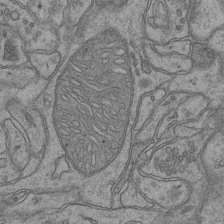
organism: Mouse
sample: CA1 Hippocampus